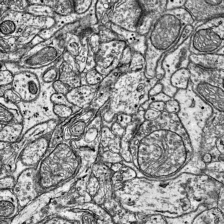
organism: Mouse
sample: Visual Cortex